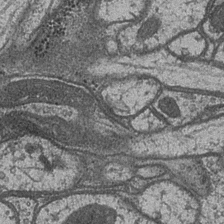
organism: Drosophila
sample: Optic medulla